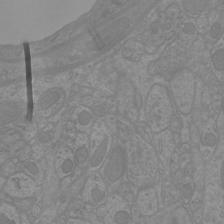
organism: Mouse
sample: Cortical neurons